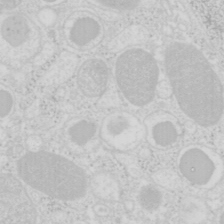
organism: Mouse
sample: Pancreas